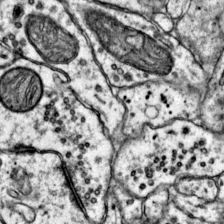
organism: Mouse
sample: Primary visual cortex